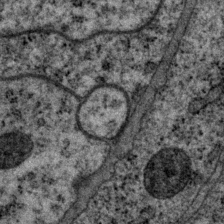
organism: P. pacificus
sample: Pharynx